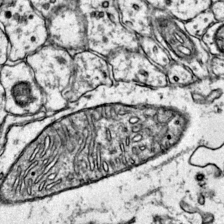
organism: Mouse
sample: Primary visual cortex